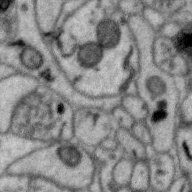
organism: Zebra finch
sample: Brain